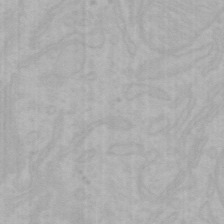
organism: Mouse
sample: Choroid plexus